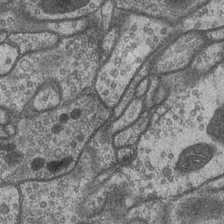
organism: Drosophila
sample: Optic medulla